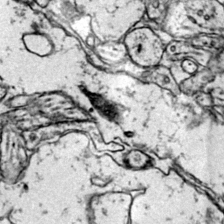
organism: Mouse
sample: Primary visual cortex